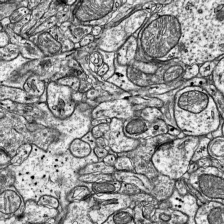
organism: Mouse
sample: Visual Cortex